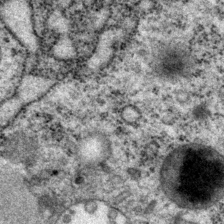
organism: P. pacificus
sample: Pharynx